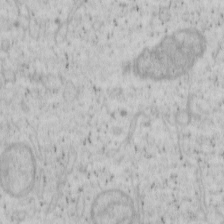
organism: Human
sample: HeLa cells